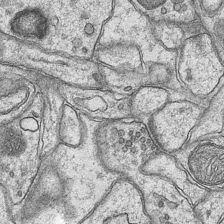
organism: Mouse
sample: CA1 Hippocampus